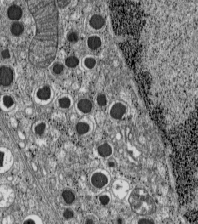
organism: C57BL Mouse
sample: Pancreatic islet